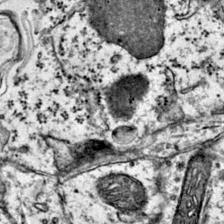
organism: Mouse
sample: Primary visual cortex